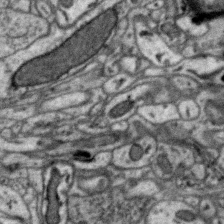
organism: Zebra finch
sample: Brain